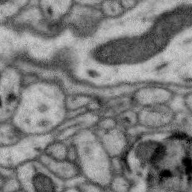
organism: Zebra finch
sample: Brain